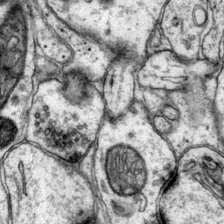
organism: Mouse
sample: Primary visual cortex